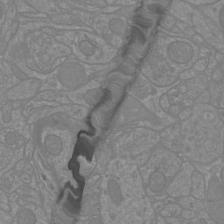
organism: Mouse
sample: Cortical neurons